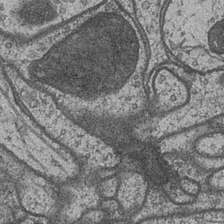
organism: Drosophila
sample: Optic medulla